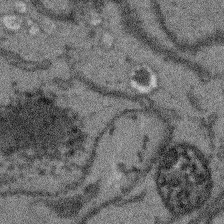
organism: Arabidopsis thaliana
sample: Root tip